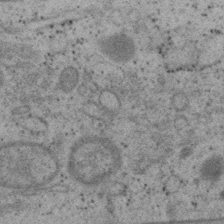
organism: Human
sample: HeLa cells